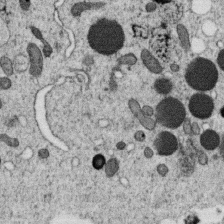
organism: C. elegans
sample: C. elegans oocyte; sperm cells